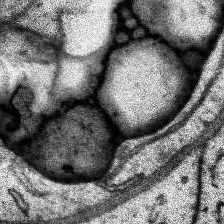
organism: Human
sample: Temporal Lobe